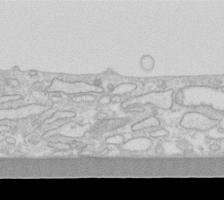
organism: Human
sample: Fibroblast cells